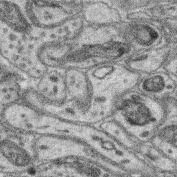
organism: Mouse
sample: Retina